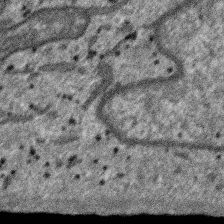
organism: Human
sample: Lung epithelial cells infected with SARS-CoV-2